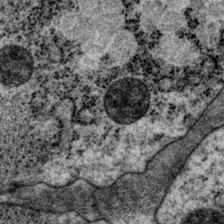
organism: P. pacificus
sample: Pharynx